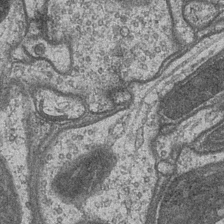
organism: Drosophila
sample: Optic medulla